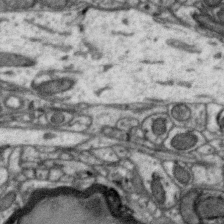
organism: Zebra finch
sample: Brain